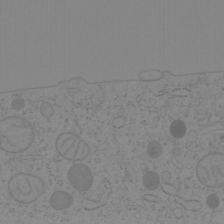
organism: Human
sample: HeLa cells